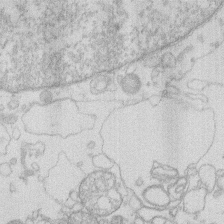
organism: Human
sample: Macrophage cells